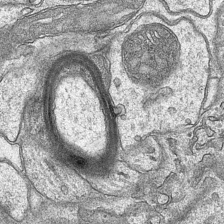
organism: Mouse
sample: CA1 Hippocampus